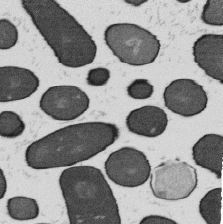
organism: B. subtilis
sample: Bacterial spore